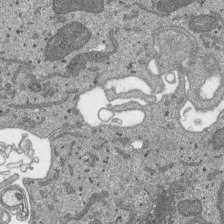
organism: Human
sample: Lung epithelial cells infected with SARS-CoV-2